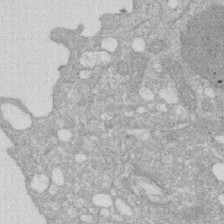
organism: Human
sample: HIV infected U937 cells